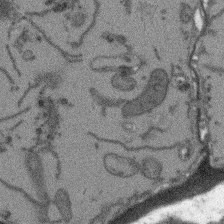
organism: Arabidopsis thaliana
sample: Root tip